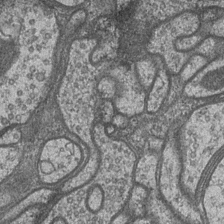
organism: Drosophila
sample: Optic medulla